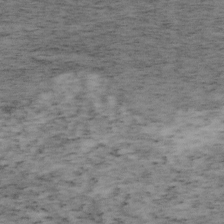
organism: Mouse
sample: OT-I killer T cells with ID8 ovarian cancer cells